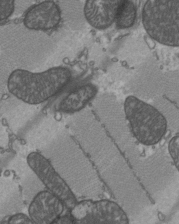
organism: C57BL Mouse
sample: Heart